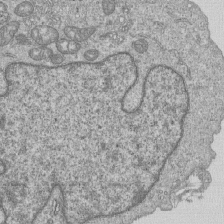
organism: Human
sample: MDA-MB-231 cells